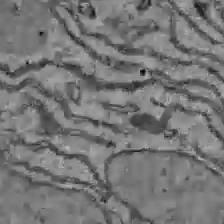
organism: C57BL Mouse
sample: Liver